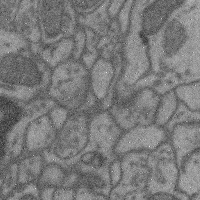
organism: Mouse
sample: Cerebral cortex